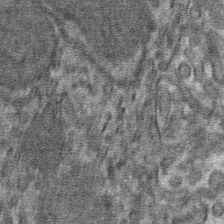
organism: Mouse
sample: Mouse hepatocytes